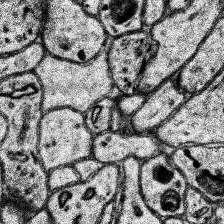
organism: Human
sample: Temporal Lobe